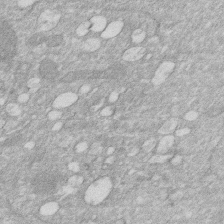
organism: Human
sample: HIV infected U937 cells